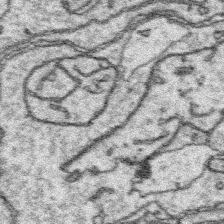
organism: Platynereis dumerilii